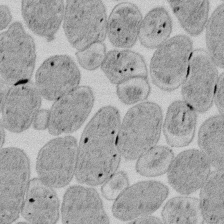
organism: E. coli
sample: Bacterial nucleoid